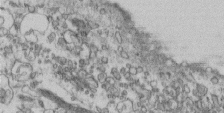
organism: Human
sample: Centriole in fibroblast cells